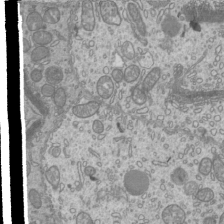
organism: Mouse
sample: Cilia; mouse epididymis